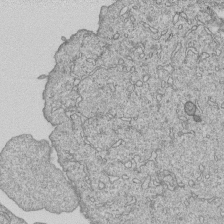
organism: Human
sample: MDA-MB-231 cells